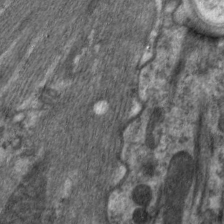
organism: C. elegans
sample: Pharynx